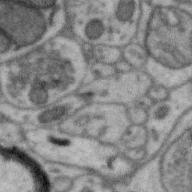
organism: Zebra finch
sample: Brain